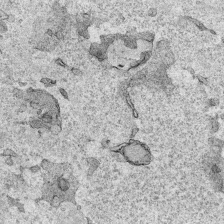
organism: Human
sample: Mitochondria in HCT116 cells